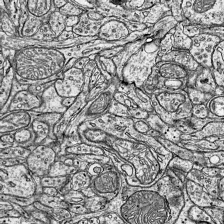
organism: Mouse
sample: Visual Cortex